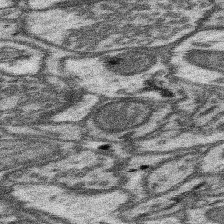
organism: Mouse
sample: Somatosensory cortex neuropil